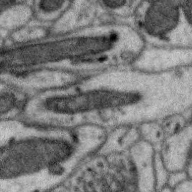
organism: Zebra finch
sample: Brain